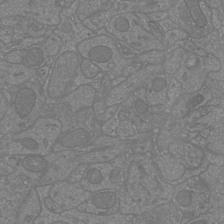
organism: Mouse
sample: Cortical neurons